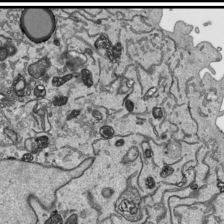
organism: Human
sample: Mitochondria in HCT116 cells